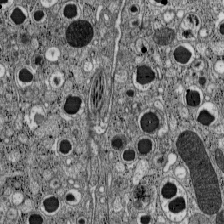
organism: C57BL Mouse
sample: Pancreatic islet